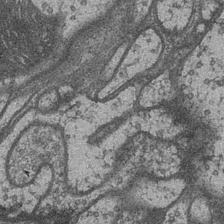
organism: Drosophila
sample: Optic medulla